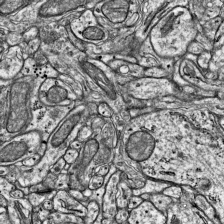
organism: Mouse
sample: Visual Cortex